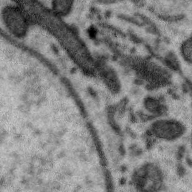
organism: Zebra finch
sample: Brain